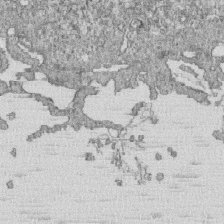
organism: Human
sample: HeLa cell HIV synapse